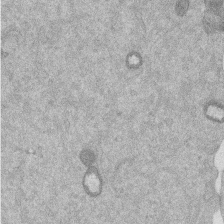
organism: Mouse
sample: Dividing mouse embryo 1 cell stage